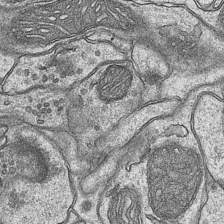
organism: Mouse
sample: CA1 Hippocampus